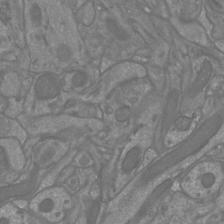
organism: Mouse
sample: Cortical neurons